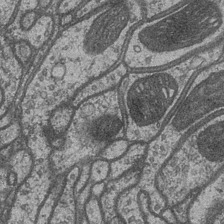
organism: Drosophila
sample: Optic medulla